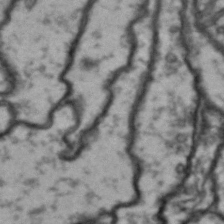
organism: Drosophila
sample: Brain